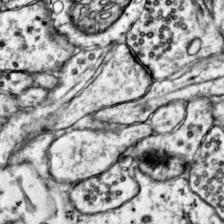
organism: Mouse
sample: Primary visual cortex